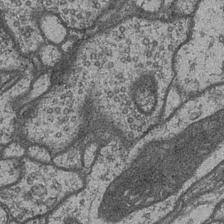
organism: Drosophila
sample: Optic medulla